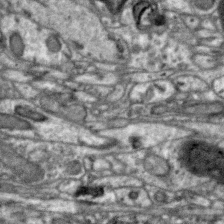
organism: Zebra finch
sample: Brain